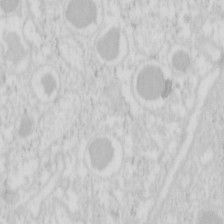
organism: Mouse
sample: Pancreas